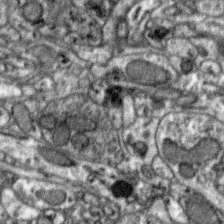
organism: Zebra finch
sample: Brain